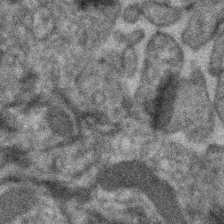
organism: Human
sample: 1205lu cells